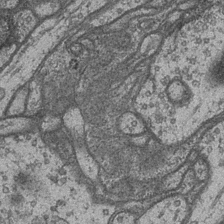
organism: Drosophila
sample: Optic medulla